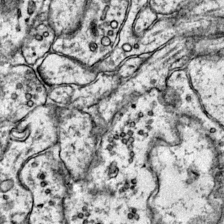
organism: Mouse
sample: Primary visual cortex